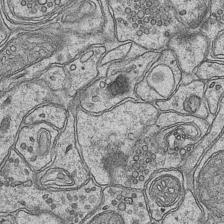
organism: Mouse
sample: CA1 Hippocampus